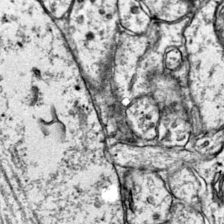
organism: Mouse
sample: Primary visual cortex